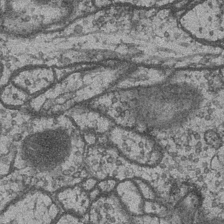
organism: Drosophila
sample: Optic medulla